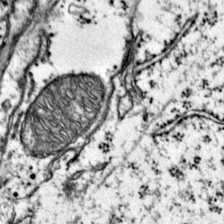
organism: Mouse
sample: Primary visual cortex